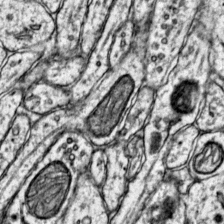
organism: Mouse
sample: Primary visual cortex